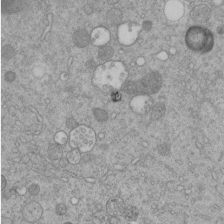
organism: C. elegans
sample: C. elegans embryo early stage